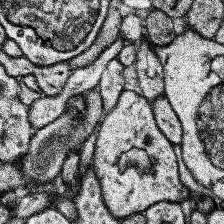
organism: Human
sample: Temporal Lobe